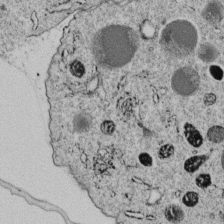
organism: C. elegans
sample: C. elegans embryo early stage